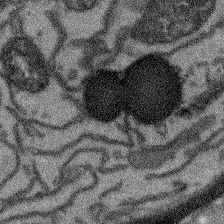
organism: Arabidopsis thaliana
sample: Root tip